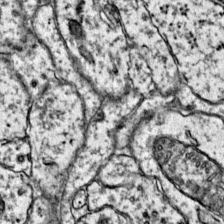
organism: Mouse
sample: Primary visual cortex